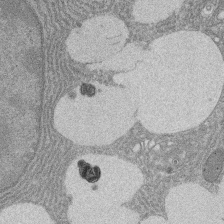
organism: Rat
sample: Salivary granule